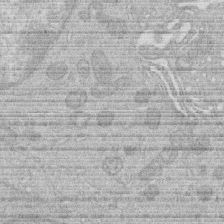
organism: Human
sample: Macrophage cells